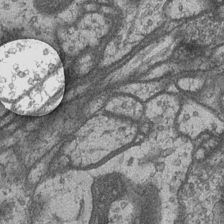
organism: Drosophila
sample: Optic medulla